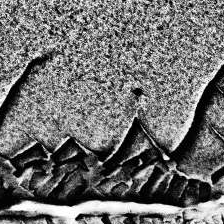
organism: Human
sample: Temporal Lobe